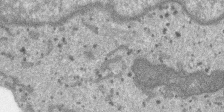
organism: Human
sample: Lung epithelial cells infected with SARS-CoV-2